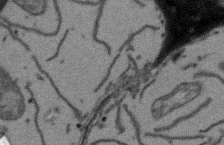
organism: Arabidopsis thaliana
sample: Root tip